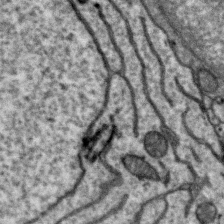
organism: Zebra finch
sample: Brain